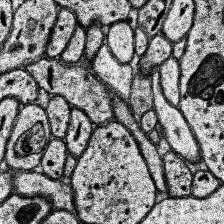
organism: Human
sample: Temporal Lobe